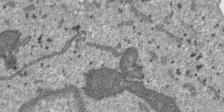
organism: Human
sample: Lung epithelial cells infected with SARS-CoV-2